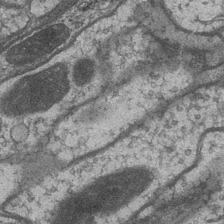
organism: Drosophila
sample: Optic medulla